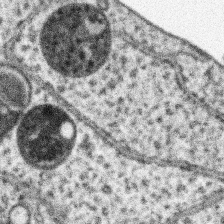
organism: Human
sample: HeLa cells